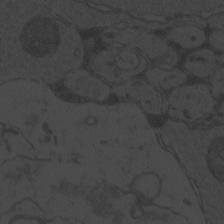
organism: Zebrafish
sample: Macrophage infected with Toxoplasma gondii